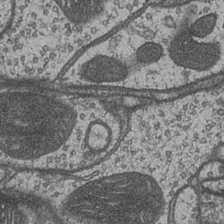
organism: Drosophila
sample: Optic medulla